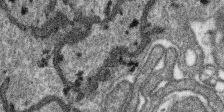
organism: Human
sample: Lung epithelial cells infected with SARS-CoV-2